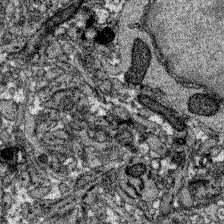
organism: Zebrafish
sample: Larval olfactory bulb